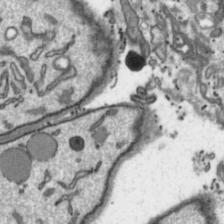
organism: Toxoplasma gondii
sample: Parasites in a vacuole inside a host cell